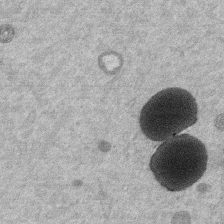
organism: Mouse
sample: Dividing mouse embryo 1 cell stage